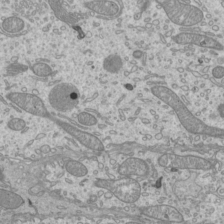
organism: Mouse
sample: Cilia; mouse epididymis